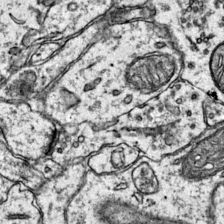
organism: Mouse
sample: Primary visual cortex